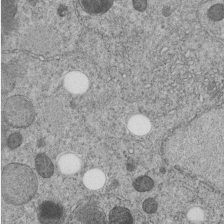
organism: C. elegans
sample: C. elegans embryo early stage